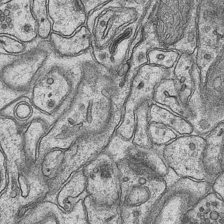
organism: Mouse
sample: CA1 Hippocampus